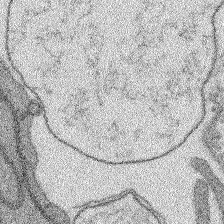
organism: Human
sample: HeLa cells